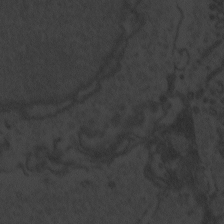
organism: Zebrafish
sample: Macrophage infected with Toxoplasma gondii